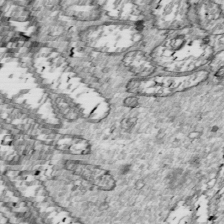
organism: Drosophila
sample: Cell division; meiosis; drosophila spermatocytes